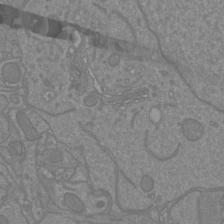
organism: Mouse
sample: Cortical neurons